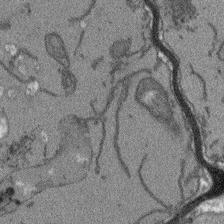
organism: Arabidopsis thaliana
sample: Root tip